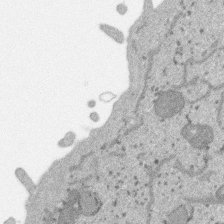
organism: Human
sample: Lung epithelial cells infected with SARS-CoV-2